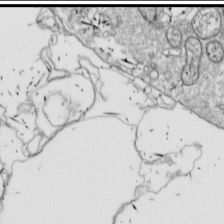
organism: Drosophila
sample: Cell division; meiosis; drosophila spermatocytes